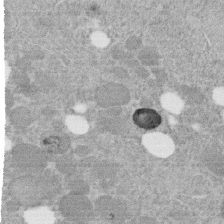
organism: C. elegans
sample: C. elegans embryo early stage